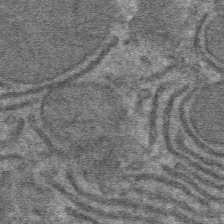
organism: Mouse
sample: Mouse hepatocytes